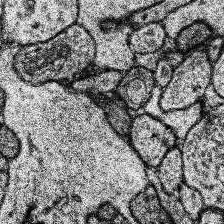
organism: Human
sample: Temporal Lobe